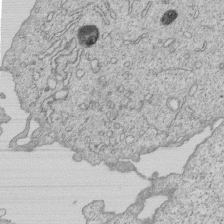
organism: Human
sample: MDA-MB-231 cells